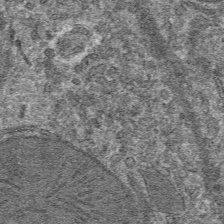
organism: Mouse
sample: Mouse hepatocytes